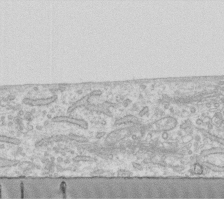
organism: Human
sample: Fibroblast cells